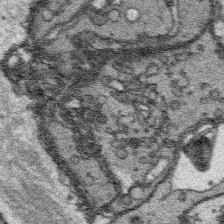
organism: Platynereis dumerilii